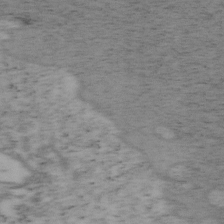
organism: Mouse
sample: OT-I killer T cells with ID8 ovarian cancer cells